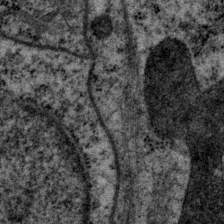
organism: P. pacificus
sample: Pharynx